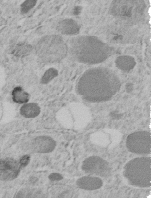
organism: C. elegans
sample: C. elegans embryo early stage